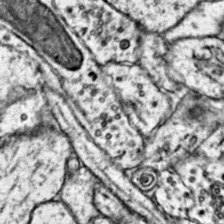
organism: Mouse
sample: Primary visual cortex